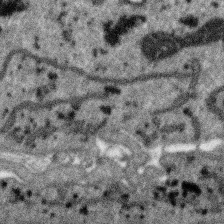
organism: Human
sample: Lung epithelial cells infected with SARS-CoV-2